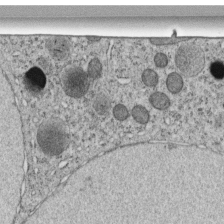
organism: C. elegans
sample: C. elegans embryo early stage